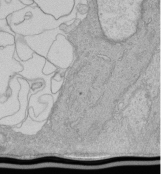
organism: Human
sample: Retinal organoid Rod and Cone cells